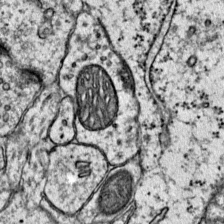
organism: Mouse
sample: Primary visual cortex